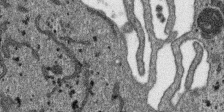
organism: Human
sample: Lung epithelial cells infected with SARS-CoV-2